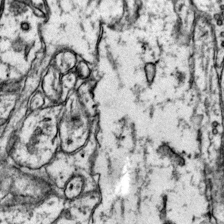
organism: Mouse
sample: Primary visual cortex